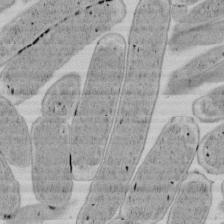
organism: E. coli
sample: Bacterial nucleoid